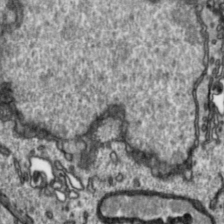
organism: Toxoplasma gondii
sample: Parasites in a vacuole inside a host cell